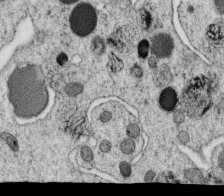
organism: C. elegans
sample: C. elegans oocyte; sperm cells